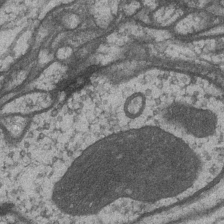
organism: Drosophila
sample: Optic medulla